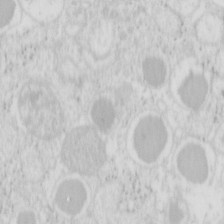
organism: Mouse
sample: Pancreas